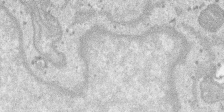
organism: Human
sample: Lung epithelial cells infected with SARS-CoV-2